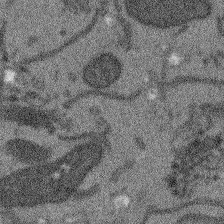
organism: Arabidopsis thaliana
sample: Root tip